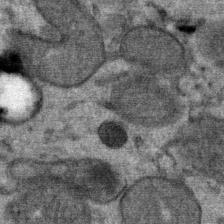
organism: Mouse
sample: Mouse Salivary gland